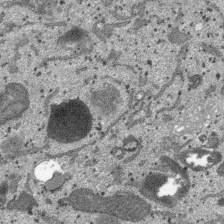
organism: Human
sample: Lung epithelial cells infected with SARS-CoV-2